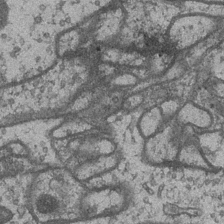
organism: Drosophila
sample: Optic medulla